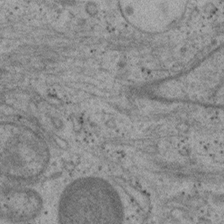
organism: Human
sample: HeLa cells